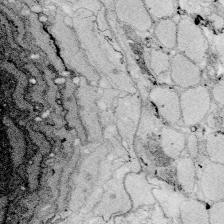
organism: Zebrafish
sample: Whole-Brain